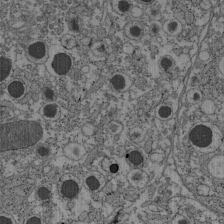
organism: C57BL Mouse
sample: Pancreatic islet